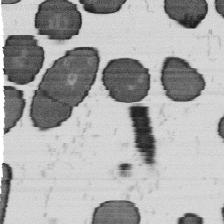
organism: B. subtilis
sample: Bacterial spore